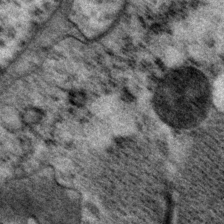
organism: P. pacificus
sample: Pharynx